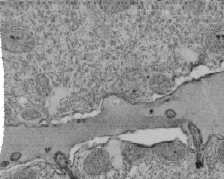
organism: Tetrahymena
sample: Cilia in tetrahymena